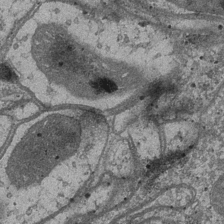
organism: Drosophila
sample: Optic medulla